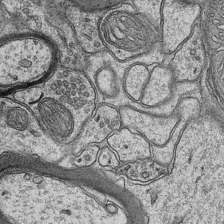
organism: Mouse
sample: CA1 Hippocampus